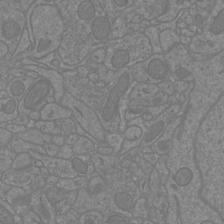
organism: Mouse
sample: Cortical neurons